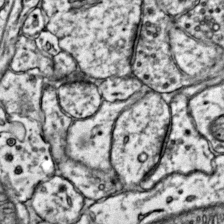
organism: Mouse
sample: Primary visual cortex